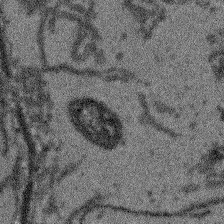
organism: Arabidopsis thaliana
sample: Root tip